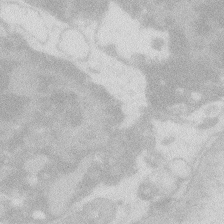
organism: Zebrafish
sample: Macrophage